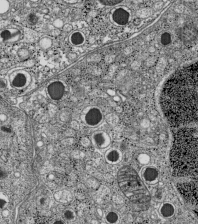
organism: C57BL Mouse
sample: Pancreatic islet